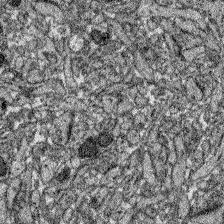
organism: Zebrafish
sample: Larval olfactory bulb